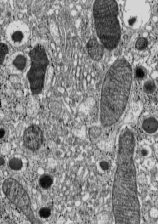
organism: C57BL Mouse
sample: Pancreatic islet